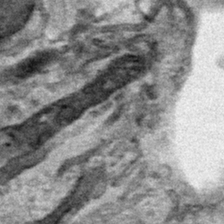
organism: Human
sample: Mitochondria in HCT116 cells